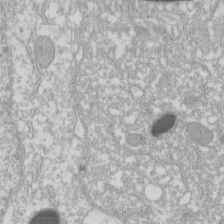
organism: Xenopus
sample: Cilia; centrioles in frog embryo cells